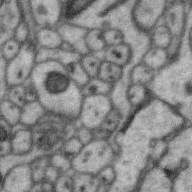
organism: Zebra finch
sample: Brain